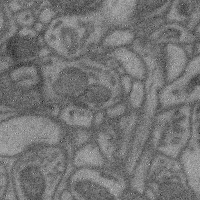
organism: Mouse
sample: Cerebral cortex